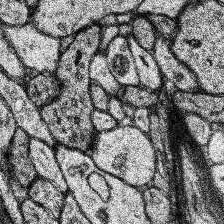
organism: Human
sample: Temporal Lobe